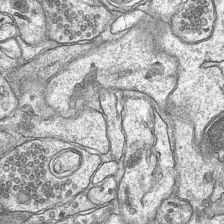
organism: Mouse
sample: CA1 Hippocampus